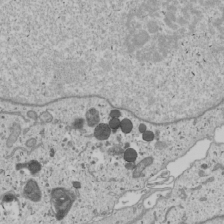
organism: Human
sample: Mitochondria in U2OS cells